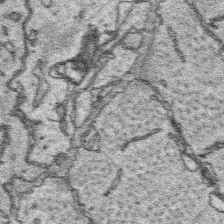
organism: Platynereis dumerilii